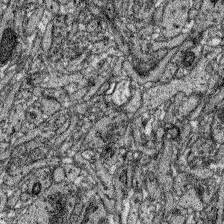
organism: Zebrafish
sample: Larval olfactory bulb